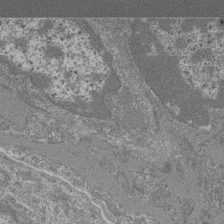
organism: Mouse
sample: Glomerulus